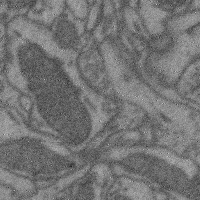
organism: Mouse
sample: Cerebral cortex